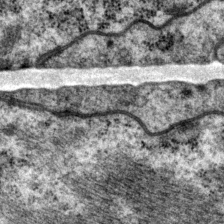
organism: P. pacificus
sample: Pharynx